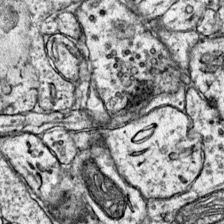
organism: Mouse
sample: Primary visual cortex